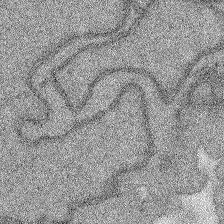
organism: Human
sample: HeLa cells